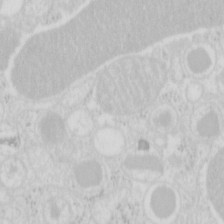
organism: Mouse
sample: Pancreas